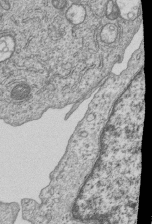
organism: Human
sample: MDA-MB-231 cells